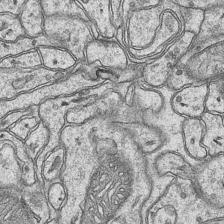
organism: Mouse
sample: CA1 Hippocampus